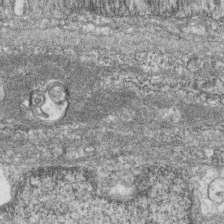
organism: Zebrafish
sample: Cilia; retinal pigment epithelium